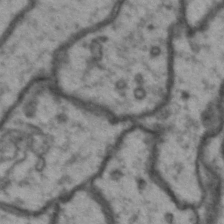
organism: Drosophila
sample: Brain